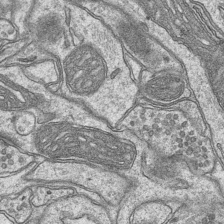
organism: Mouse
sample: CA1 Hippocampus